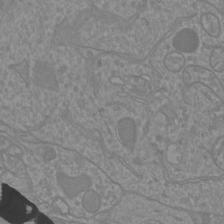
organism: Mouse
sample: Cortical neurons